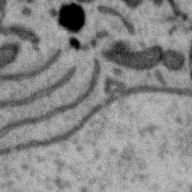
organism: Zebra finch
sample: Brain